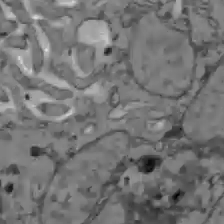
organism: C57BL Mouse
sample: Liver